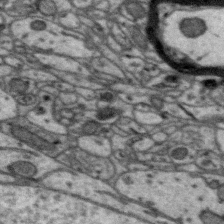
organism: Zebra finch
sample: Brain